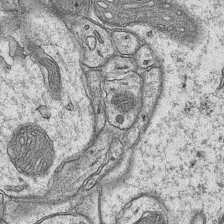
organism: Mouse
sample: CA1 Hippocampus